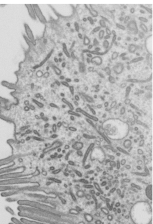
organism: Mouse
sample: Mouse epididymis efferent ductule cilia